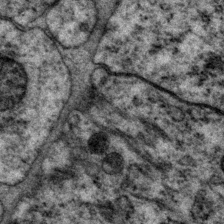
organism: P. pacificus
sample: Pharynx